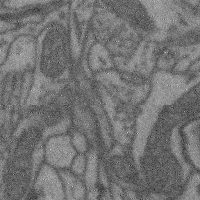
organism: Mouse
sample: Cerebral cortex